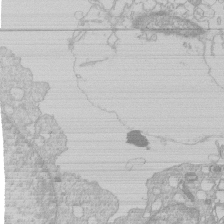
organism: Human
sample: Macrophage cells